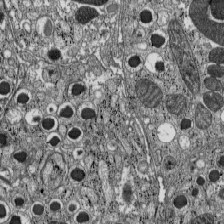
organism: C57BL Mouse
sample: Pancreatic islet